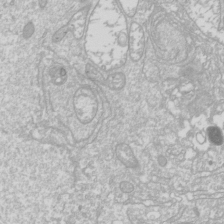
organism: Drosophila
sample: Cell division; meiosis; drosophila spermatocytes